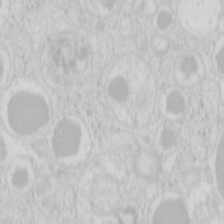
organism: Mouse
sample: Pancreas